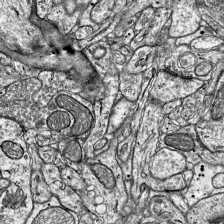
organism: Mouse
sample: Visual Cortex